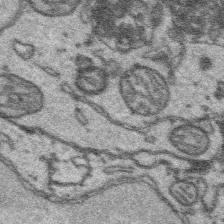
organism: Platynereis dumerilii